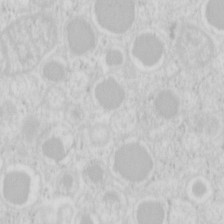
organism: Mouse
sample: Pancreas